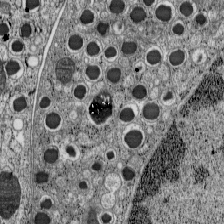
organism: C57BL Mouse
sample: Pancreatic islet